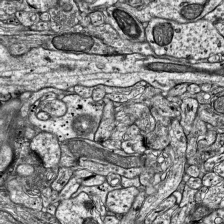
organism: Mouse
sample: Visual Cortex